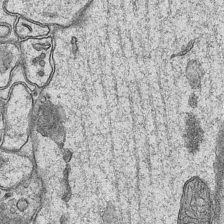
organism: Mouse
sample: CA1 Hippocampus